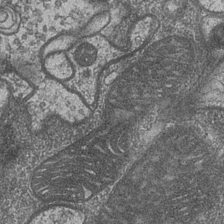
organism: Drosophila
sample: Optic medulla